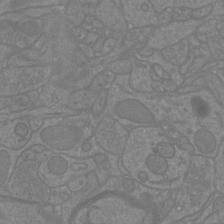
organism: Mouse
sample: Cortical neurons